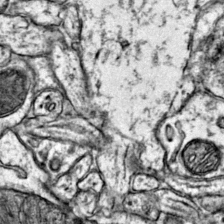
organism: Mouse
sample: Primary visual cortex